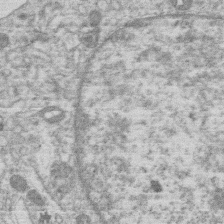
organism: Human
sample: Macrophage cells